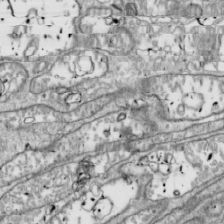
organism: Drosophila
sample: Cell division; meiosis; drosophila spermatocytes